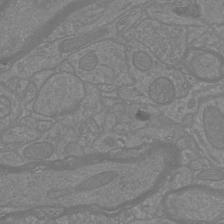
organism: Mouse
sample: Cortical neurons